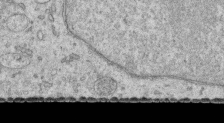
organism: Human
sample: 1205lu cells